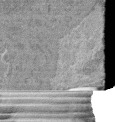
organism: Mouse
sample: Glomerulus